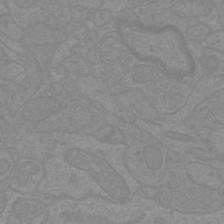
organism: Mouse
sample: Cortical neurons